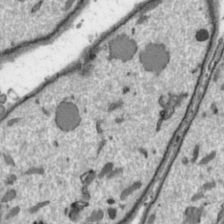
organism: Toxoplasma gondii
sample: Parasites in a vacuole inside a host cell